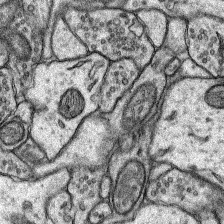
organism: Rat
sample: Hippocampus